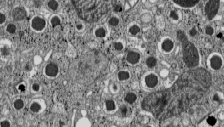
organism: C57BL Mouse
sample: Pancreatic islet